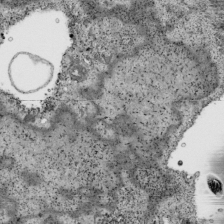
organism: Human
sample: Mitochondria in HCT116 cells